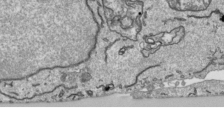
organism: Human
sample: Mitochondria in HCT116 cells